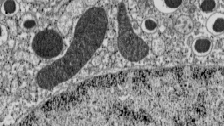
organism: C57BL Mouse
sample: Pancreatic islet